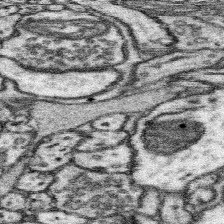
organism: Mouse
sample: Somatosensory cortex neuropil